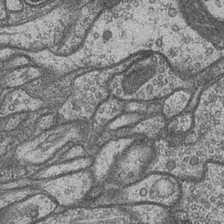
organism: Drosophila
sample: Optic medulla